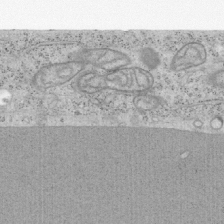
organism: Human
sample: HeLa cells